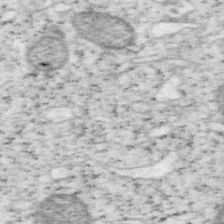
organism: Mouse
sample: OT-I killer T cells with ID8 ovarian cancer cells